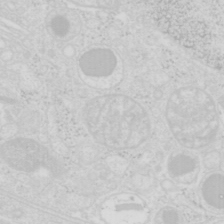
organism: Mouse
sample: Pancreas